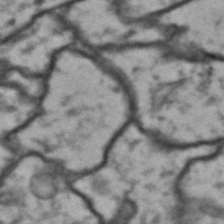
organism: Drosophila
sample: Brain